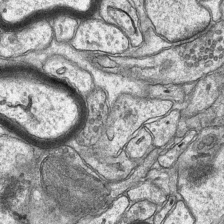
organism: Mouse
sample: CA1 Hippocampus